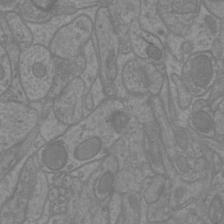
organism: Mouse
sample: Cortical neurons